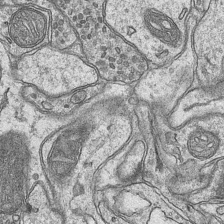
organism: Mouse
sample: CA1 Hippocampus